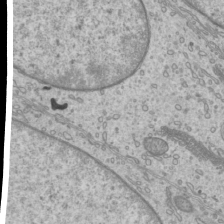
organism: Mouse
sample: Cilia; mouse epididymis